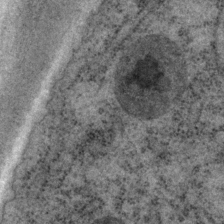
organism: P. pacificus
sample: Pharynx